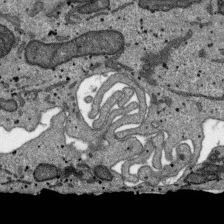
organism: Human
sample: Lung epithelial cells, uninfected (mock) control